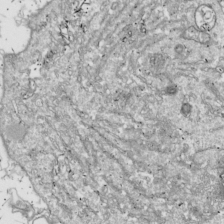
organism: Drosophila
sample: Cell division; meiosis; drosophila spermatocytes